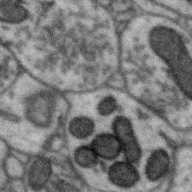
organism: Zebra finch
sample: Brain